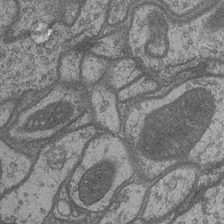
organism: Drosophila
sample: Optic medulla